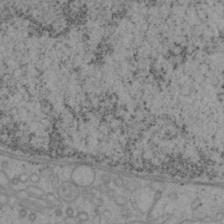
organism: Human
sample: HeLa cells